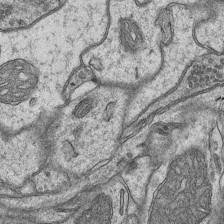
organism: Mouse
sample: CA1 Hippocampus